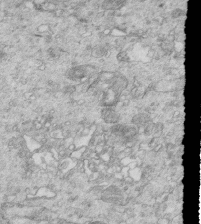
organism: Mouse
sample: Multiciliated cells